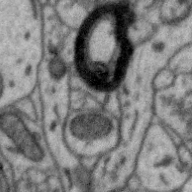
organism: Zebra finch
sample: Brain